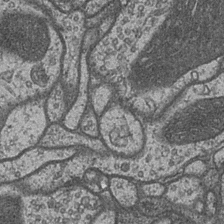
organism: Drosophila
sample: Optic medulla